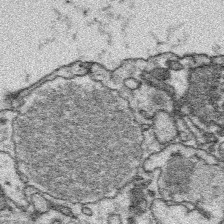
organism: Platynereis dumerilii